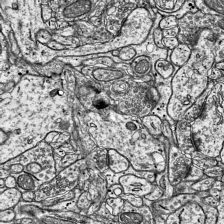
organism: Mouse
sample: Visual Cortex